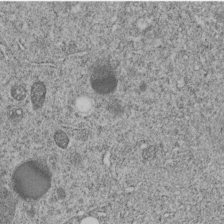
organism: C. elegans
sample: C. elegans embryo early stage